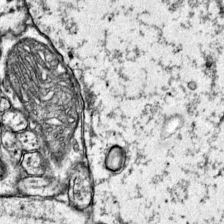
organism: Mouse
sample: Primary visual cortex